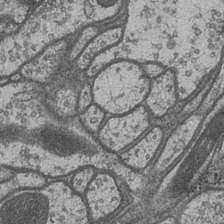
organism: Drosophila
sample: Optic medulla